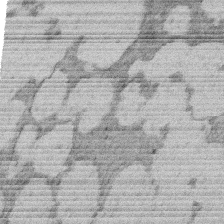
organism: Rat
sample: Salivary granule